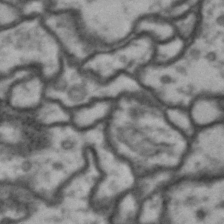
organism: Drosophila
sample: Brain